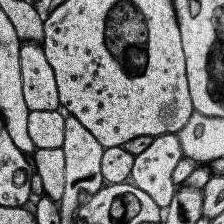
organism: Human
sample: Temporal Lobe